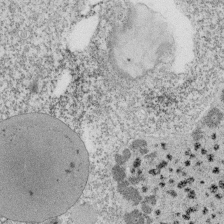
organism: Tetrahymena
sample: Cilia in tetrahymena